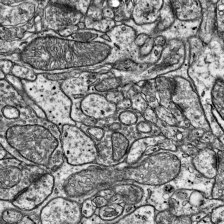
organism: Mouse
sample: Visual Cortex